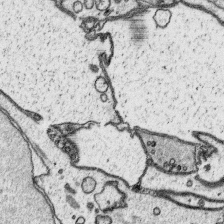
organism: Platynereis dumerilii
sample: Parapodia